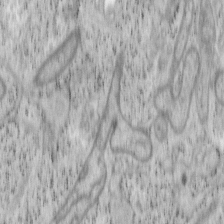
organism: Human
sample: HeLa cells